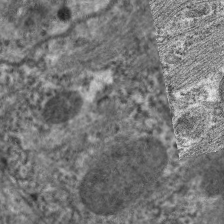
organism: C. elegans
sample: Pharynx